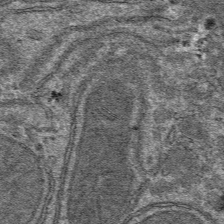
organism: Mouse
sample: Mouse hepatocytes